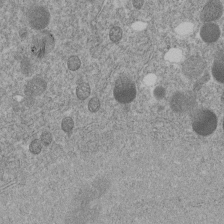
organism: C. elegans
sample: C. elegans embryo early stage